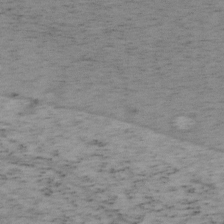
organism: Mouse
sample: OT-I killer T cells with ID8 ovarian cancer cells